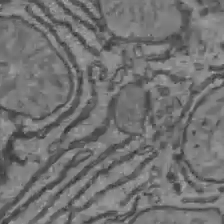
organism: C57BL Mouse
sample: Liver